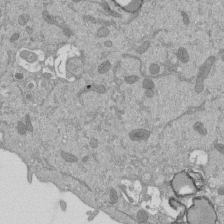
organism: Mouse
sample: ED-1 cell nuclei; centrioles